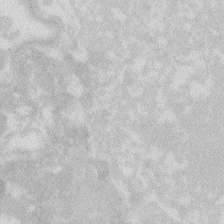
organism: Zebrafish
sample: Macrophage